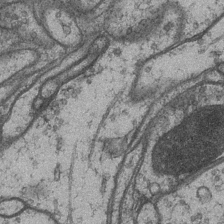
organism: Drosophila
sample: Optic medulla